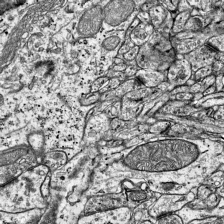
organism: Mouse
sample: Visual Cortex